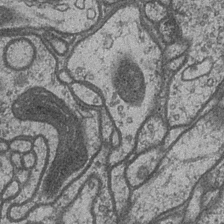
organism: Drosophila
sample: Optic medulla